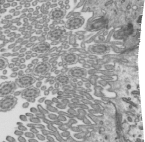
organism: Mouse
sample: Mouse epididymis efferent ductule cilia